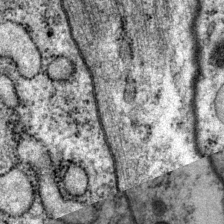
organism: P. pacificus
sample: Pharynx